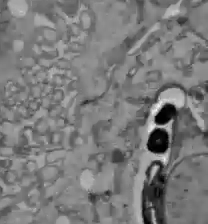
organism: C57BL Mouse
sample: Liver